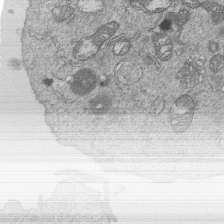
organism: Human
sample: MDA-MB-231 cells